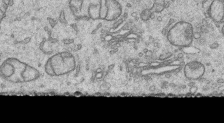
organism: Human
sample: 1205lu cells